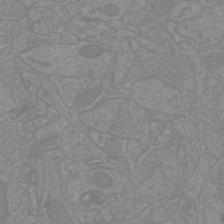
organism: Mouse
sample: Cortical neurons